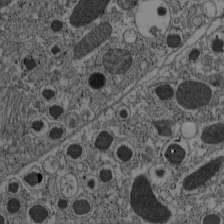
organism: C57BL Mouse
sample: Pancreatic islet